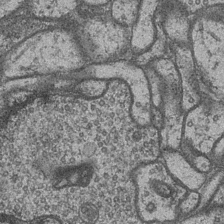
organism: Drosophila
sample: Optic medulla